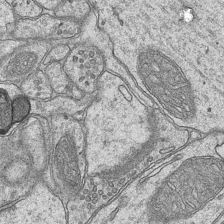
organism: Mouse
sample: CA1 Hippocampus